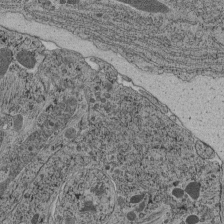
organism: C. elegans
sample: C. elegans pharynx